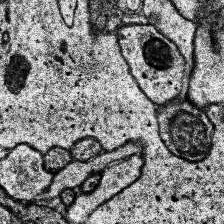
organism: Human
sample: Temporal Lobe